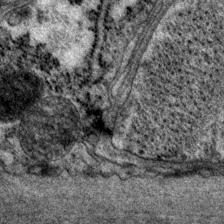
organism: P. pacificus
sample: Pharynx